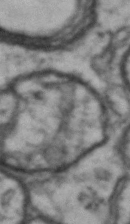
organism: Drosophila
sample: Brain